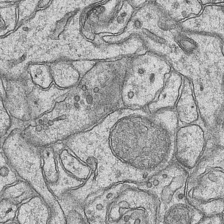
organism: Mouse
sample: CA1 Hippocampus